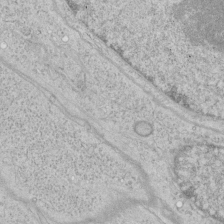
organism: Human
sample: Mitochondria in HCT116 cells